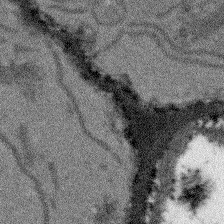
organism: Arabidopsis thaliana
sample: Root tip